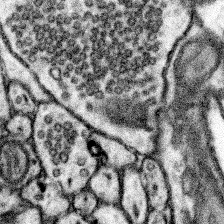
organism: Mouse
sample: Somatosensory cortex neuropil